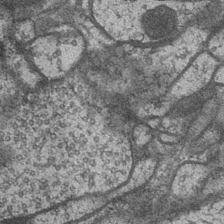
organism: Drosophila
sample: Optic medulla